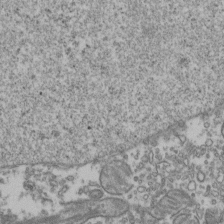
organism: Human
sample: Activated Jurkat CD4+ T cells